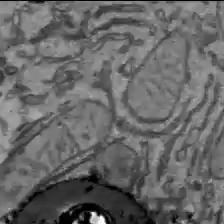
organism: C57BL Mouse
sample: Liver